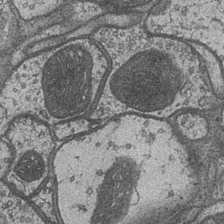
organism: Drosophila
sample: Optic medulla